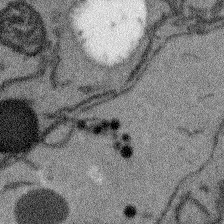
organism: Arabidopsis thaliana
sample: Root tip